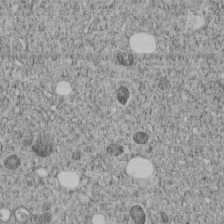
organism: C. elegans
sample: C. elegans embryo early stage